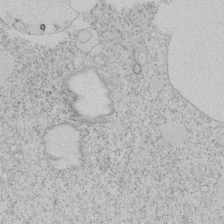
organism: Tetrahymena